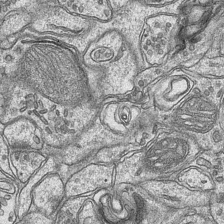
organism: Mouse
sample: CA1 Hippocampus